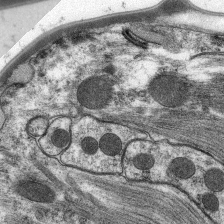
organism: C. elegans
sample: Pharynx